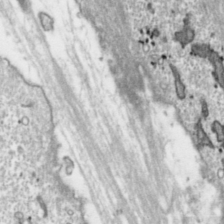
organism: Toxoplasma gondii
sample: Parasites in a vacuole inside a host cell